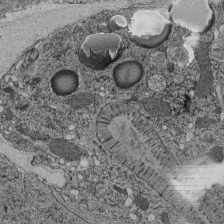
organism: C. elegans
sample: C. elegans pharynx